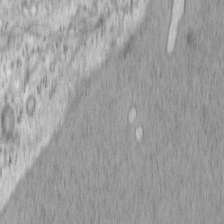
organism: Human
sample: HeLa cells